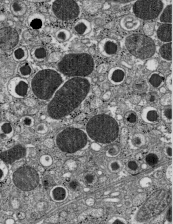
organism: C57BL Mouse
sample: Pancreatic islet